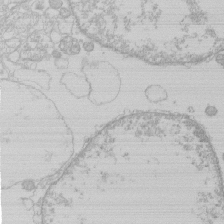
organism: Human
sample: Macrophage cells